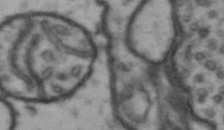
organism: Drosophila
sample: Brain